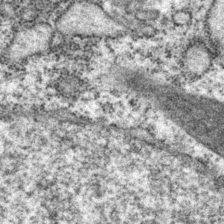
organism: P. pacificus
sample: Pharynx